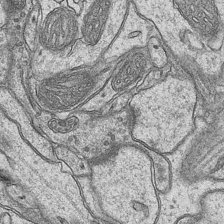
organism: Mouse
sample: CA1 Hippocampus